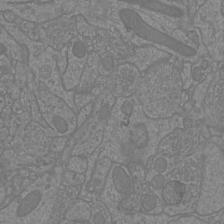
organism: Mouse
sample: Cortical neurons